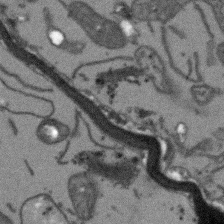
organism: Arabidopsis thaliana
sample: Root tip